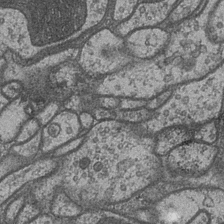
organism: Drosophila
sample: Optic medulla